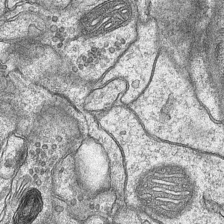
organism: Mouse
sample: CA1 Hippocampus